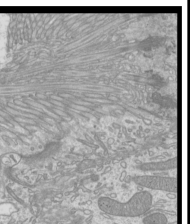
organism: Mouse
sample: Cilia; mouse epididymis